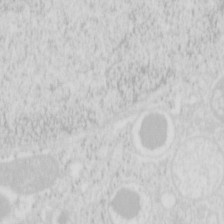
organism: Mouse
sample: Pancreas